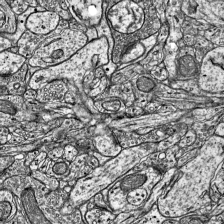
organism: Mouse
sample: Visual Cortex